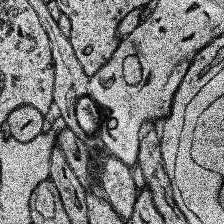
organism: Human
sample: Temporal Lobe